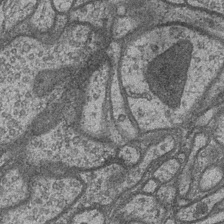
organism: Drosophila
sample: Optic medulla